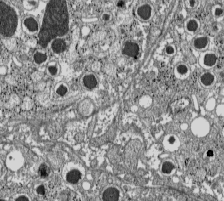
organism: C57BL Mouse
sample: Pancreatic islet